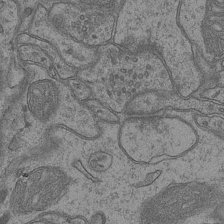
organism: Mouse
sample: CA1 Hippocampus